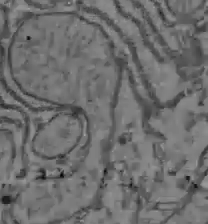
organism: C57BL Mouse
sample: Liver